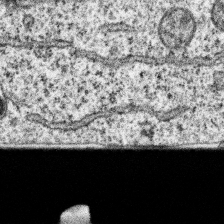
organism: Human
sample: HeLa cells